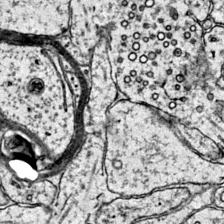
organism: Mouse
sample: Primary visual cortex